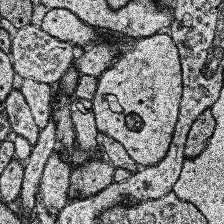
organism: Human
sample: Temporal Lobe